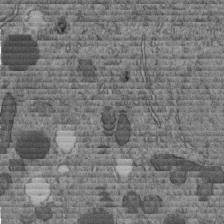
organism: C. elegans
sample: C. elegans embryo early stage